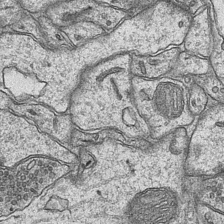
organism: Mouse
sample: CA1 Hippocampus